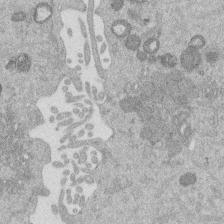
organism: Mouse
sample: Dividing mouse embryo 1 cell stage